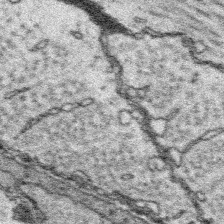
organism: Platynereis dumerilii